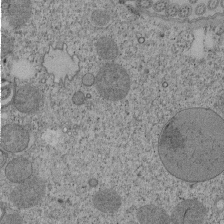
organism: Tetrahymena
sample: Cilia in tetrahymena